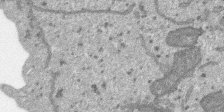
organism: Human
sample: Lung epithelial cells infected with SARS-CoV-2